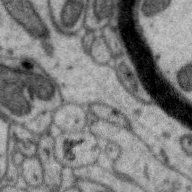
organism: Zebra finch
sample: Brain